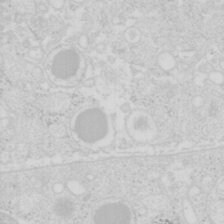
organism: Mouse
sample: Pancreas